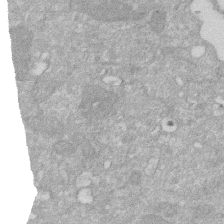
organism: Human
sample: HIV infected U937 cells